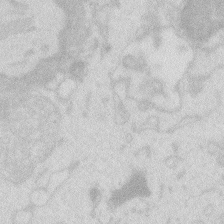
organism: Zebrafish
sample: Macrophage